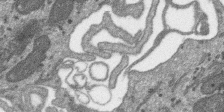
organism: Human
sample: Lung epithelial cells infected with SARS-CoV-2